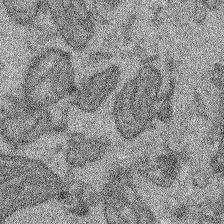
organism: Human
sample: HeLa cells